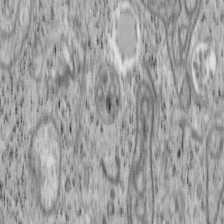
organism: Human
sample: HeLa cells